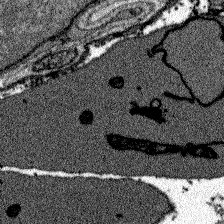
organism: Zebrafish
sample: Larval olfactory bulb